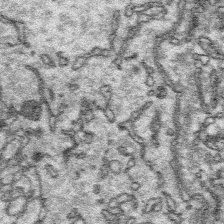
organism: Platynereis dumerilii